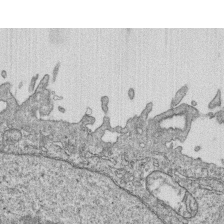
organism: Human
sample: HeLa cell HIV synapse